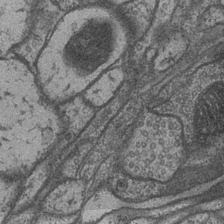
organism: Drosophila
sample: Optic medulla